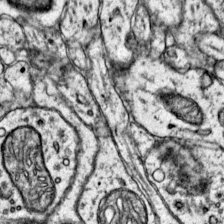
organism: Mouse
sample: Primary visual cortex